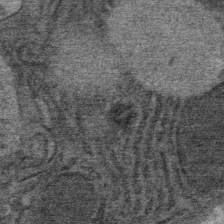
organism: Mouse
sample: Mouse Salivary gland